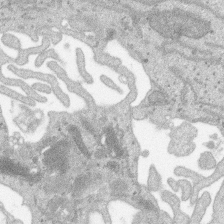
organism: Human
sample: Lung epithelial cells infected with SARS-CoV-2